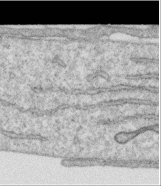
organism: Human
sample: Centriole in RPE cells